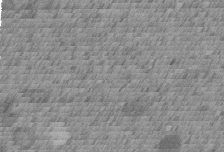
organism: C. elegans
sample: C. elegans embryo early stage